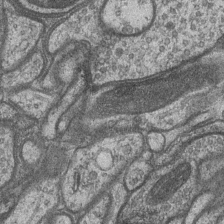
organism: Drosophila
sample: Optic medulla